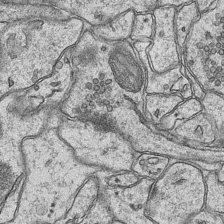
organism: Mouse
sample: CA1 Hippocampus